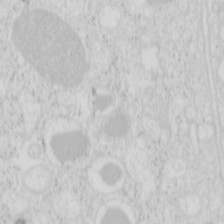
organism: Mouse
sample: Pancreas